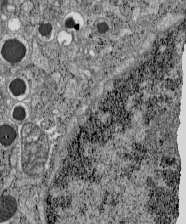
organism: C57BL Mouse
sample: Pancreatic islet